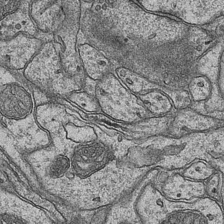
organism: Mouse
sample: CA1 Hippocampus